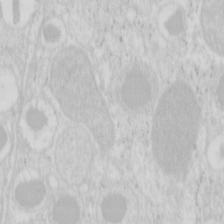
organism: Mouse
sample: Pancreas